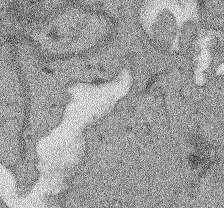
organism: Human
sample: HeLa cells